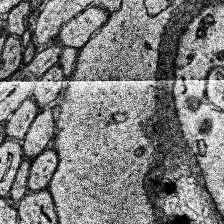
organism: Human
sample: Temporal Lobe